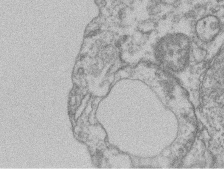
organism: Mouse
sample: T cell stromal cell synapse